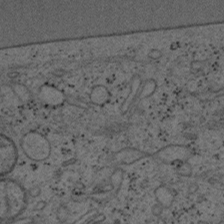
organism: Human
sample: HeLa cells